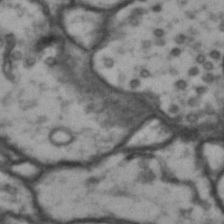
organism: Drosophila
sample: Brain